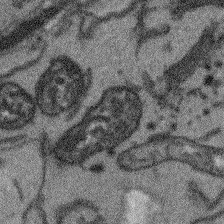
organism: Arabidopsis thaliana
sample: Root tip